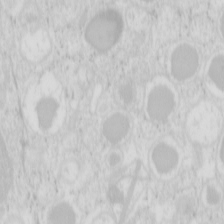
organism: Mouse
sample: Pancreas